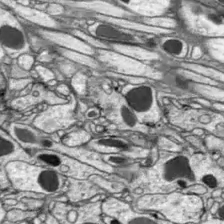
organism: Drosophila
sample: Optic lobe